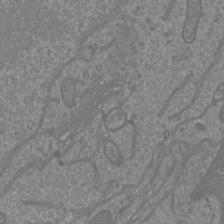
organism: Mouse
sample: Cortical neurons